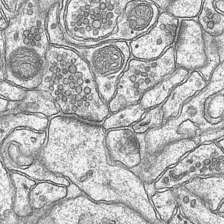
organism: Mouse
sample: CA1 Hippocampus